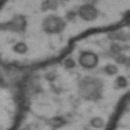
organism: Drosophila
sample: Brain